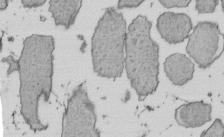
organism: E. coli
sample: Bacterial nucleoid